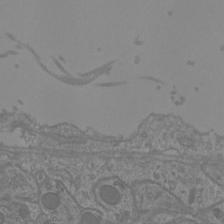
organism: Mouse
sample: Cortical neurons